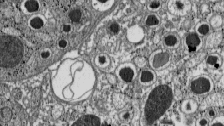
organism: C57BL Mouse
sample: Pancreatic islet